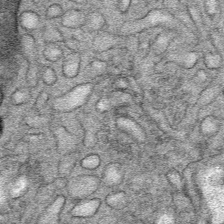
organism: Mouse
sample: Mouse Salivary gland